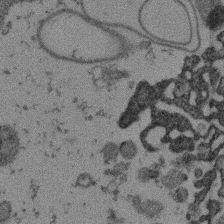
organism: Mouse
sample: Dividing mouse embryo 1 cell stage